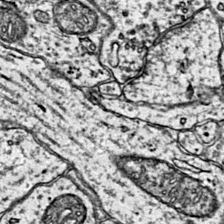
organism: Mouse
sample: Primary visual cortex